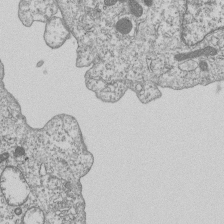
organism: Human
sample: MDA-MB-231 cells